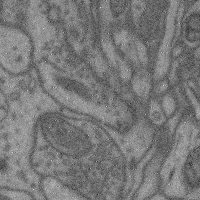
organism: Mouse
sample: Cerebral cortex